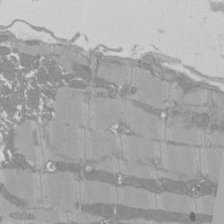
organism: Rat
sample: Left ventricle